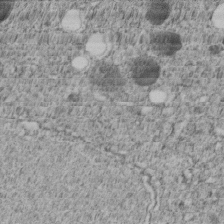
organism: C. elegans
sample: C. elegans embryo early stage